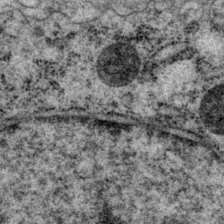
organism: P. pacificus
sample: Pharynx